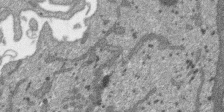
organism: Human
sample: Lung epithelial cells infected with SARS-CoV-2